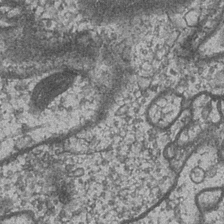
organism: Drosophila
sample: Optic medulla